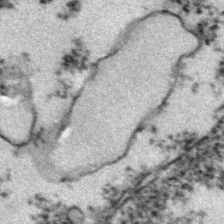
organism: Zebrafish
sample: Zebrafish embryo